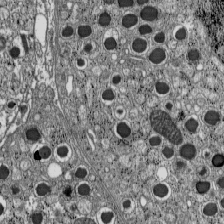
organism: C57BL Mouse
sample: Pancreatic islet